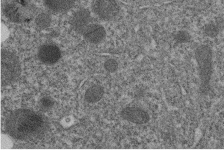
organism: C. elegans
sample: C. elegans embryo early stage